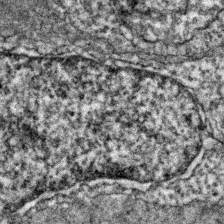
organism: Zebrafish